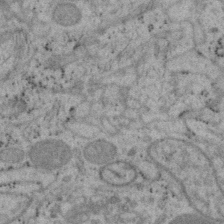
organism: Human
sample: HeLa cells